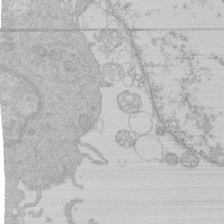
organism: Human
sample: Macrophage cells